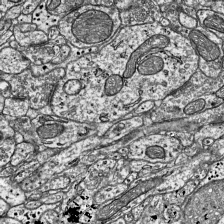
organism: Mouse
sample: Visual Cortex